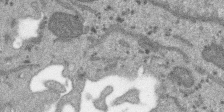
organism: Human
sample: Lung epithelial cells infected with SARS-CoV-2